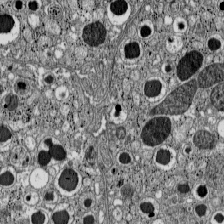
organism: C57BL Mouse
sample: Pancreatic islet